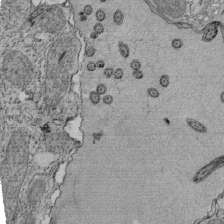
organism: Tetrahymena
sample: Cilia in tetrahymena